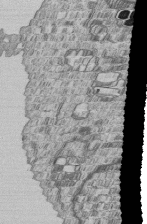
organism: Human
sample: MDA-MB-231 cells